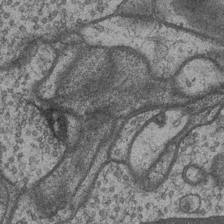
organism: Drosophila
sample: Optic medulla